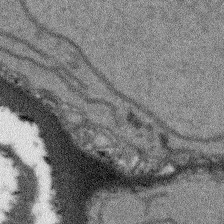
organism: Arabidopsis thaliana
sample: Root tip